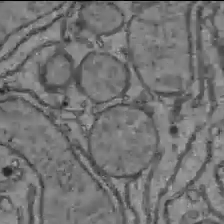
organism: C57BL Mouse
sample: Liver